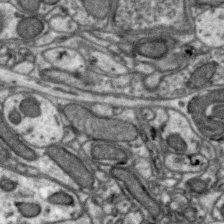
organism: Zebra finch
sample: Brain